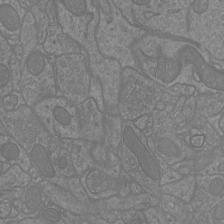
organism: Mouse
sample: Cortical neurons